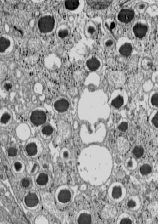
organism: C57BL Mouse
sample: Pancreatic islet